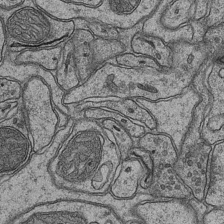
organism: Mouse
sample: CA1 Hippocampus